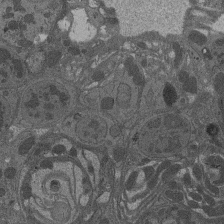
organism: Drosophila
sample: Antenna